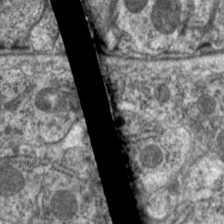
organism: C. elegans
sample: Pharynx